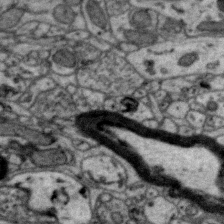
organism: Zebra finch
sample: Brain